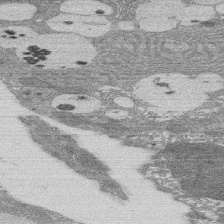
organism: Rat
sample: Salivary granule